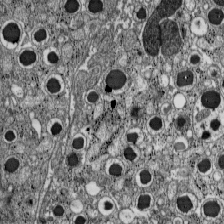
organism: C57BL Mouse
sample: Pancreatic islet